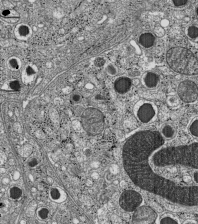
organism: C57BL Mouse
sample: Pancreatic islet